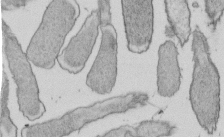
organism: E. coli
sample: Bacterial nucleoid